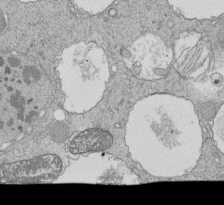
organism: Tetrahymena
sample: Cilia in tetrahymena